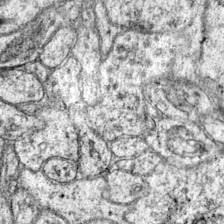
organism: Mouse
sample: Primary visual cortex